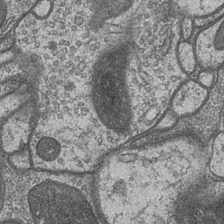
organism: Drosophila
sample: Optic medulla